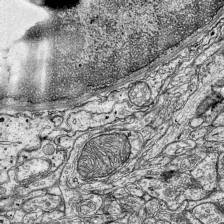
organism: Mouse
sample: Visual Cortex